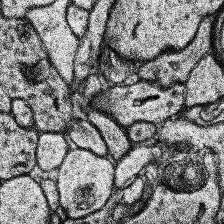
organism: Human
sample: Temporal Lobe